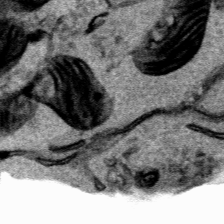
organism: Human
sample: Mitochondria in HCT116 cells